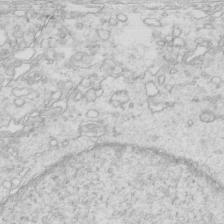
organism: Mouse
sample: Multiciliated cells